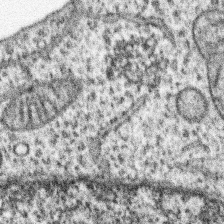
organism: Human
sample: HeLa cells